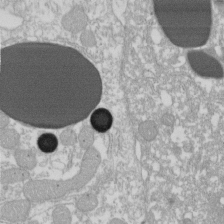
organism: Xenopus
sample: Cilia; centrioles in frog embryo cells